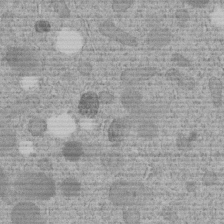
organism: C. elegans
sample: C. elegans embryo early stage